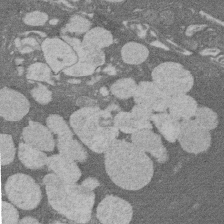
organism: Rat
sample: Salivary granule